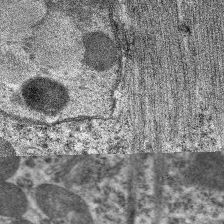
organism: C. elegans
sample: Pharynx